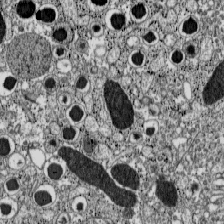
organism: C57BL Mouse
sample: Pancreatic islet